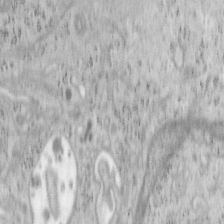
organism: Human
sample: HeLa cells